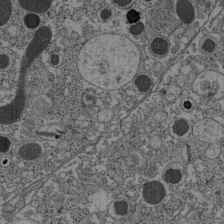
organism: C57BL Mouse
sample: Pancreatic islet